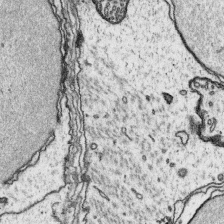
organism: Platynereis dumerilii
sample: Parapodia